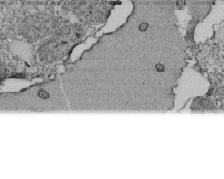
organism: Tetrahymena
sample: Cilia in tetrahymena